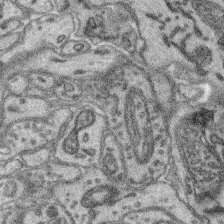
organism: Mouse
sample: Retina